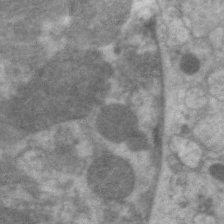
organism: C. elegans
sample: Pharynx